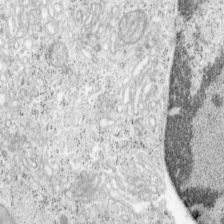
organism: Mouse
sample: OT-I killer T cells with ID8 ovarian cancer cells